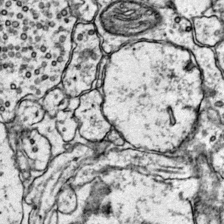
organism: Mouse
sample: Primary visual cortex